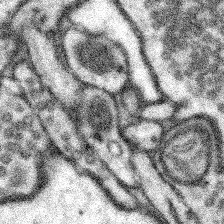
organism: Mouse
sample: Somatosensory cortex neuropil